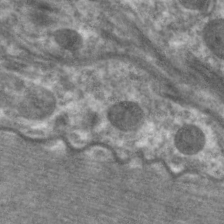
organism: C. elegans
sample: Pharynx